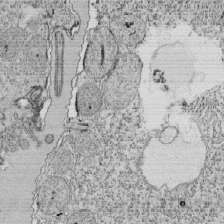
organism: Tetrahymena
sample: Cilia in tetrahymena